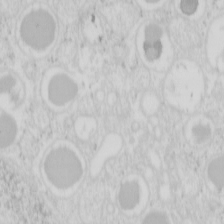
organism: Mouse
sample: Pancreas